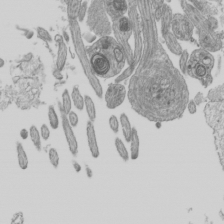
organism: Mouse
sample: Cilia; mouse epididymis